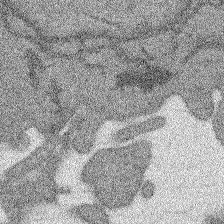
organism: Human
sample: HeLa cells